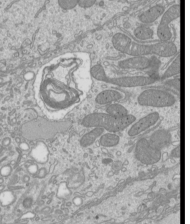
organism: Mouse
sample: Cilia; mouse epididymis